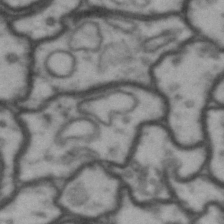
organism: Drosophila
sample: Brain